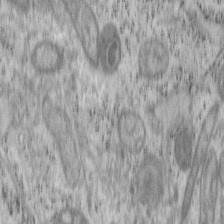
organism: Human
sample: HeLa cells